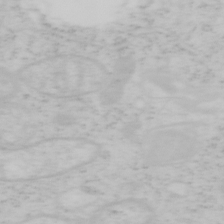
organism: Mouse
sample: OT-I killer T cells with ID8 ovarian cancer cells